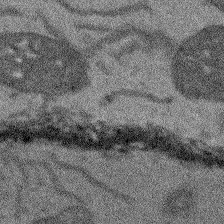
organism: Arabidopsis thaliana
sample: Root tip